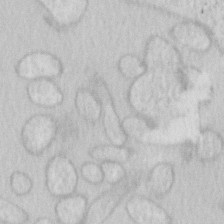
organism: Human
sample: HeLa cells